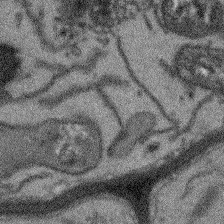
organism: Arabidopsis thaliana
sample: Root tip